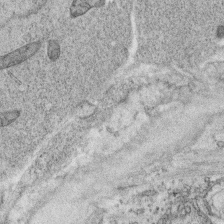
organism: C. elegans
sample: C. elegans oocyte; sperm cells